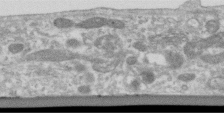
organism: Human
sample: Centriole in RPE cells